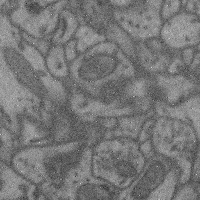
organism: Mouse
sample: Cerebral cortex